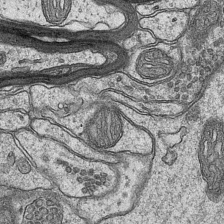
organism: Mouse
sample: CA1 Hippocampus